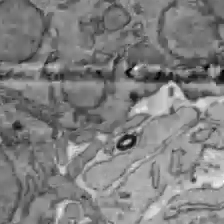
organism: C57BL Mouse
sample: Liver